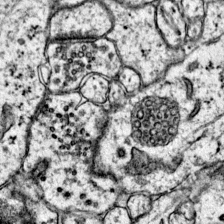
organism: Mouse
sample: Primary visual cortex